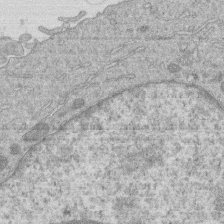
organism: Human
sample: Macrophage cells